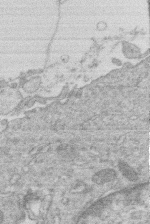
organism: Human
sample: Macrophage cells